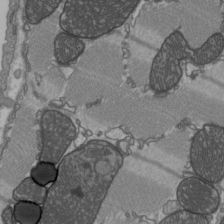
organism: C57BL Mouse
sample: Heart